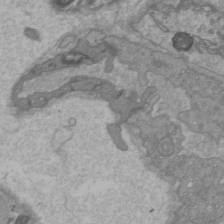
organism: C57BL Mouse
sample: Heart